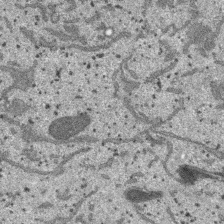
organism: Human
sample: Lung epithelial cells infected with SARS-CoV-2